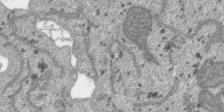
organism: Human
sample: Lung epithelial cells infected with SARS-CoV-2